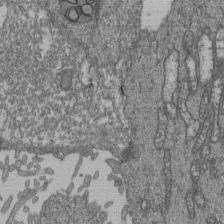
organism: Human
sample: Retinal organoid Rod and Cone cells